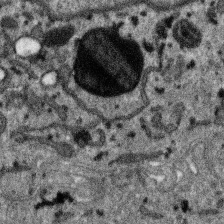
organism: Human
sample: Lung epithelial cells infected with SARS-CoV-2